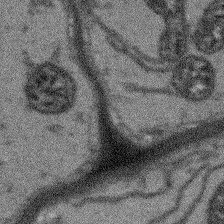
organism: Arabidopsis thaliana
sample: Root tip